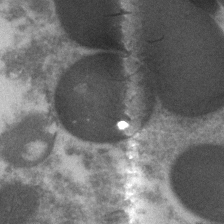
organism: Zebrafish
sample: Zebrafish embryo